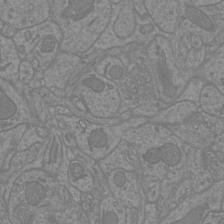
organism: Mouse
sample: Cortical neurons